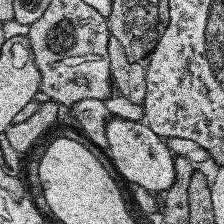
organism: Human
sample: Temporal Lobe